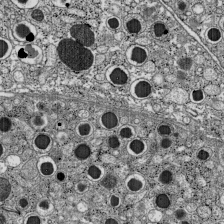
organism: C57BL Mouse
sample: Pancreatic islet